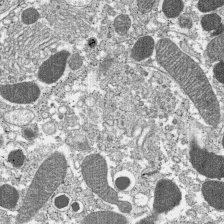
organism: C57BL Mouse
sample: Pancreatic islet